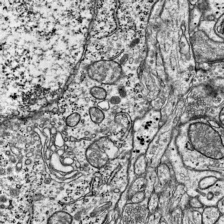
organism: Mouse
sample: Visual Cortex